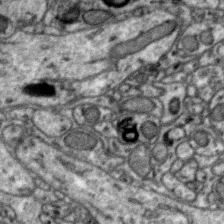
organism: Zebra finch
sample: Brain